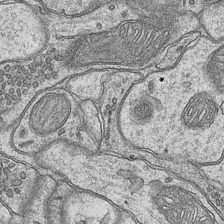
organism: Mouse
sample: CA1 Hippocampus